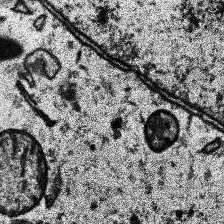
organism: Human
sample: Temporal Lobe